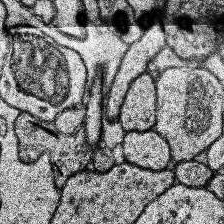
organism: Human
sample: Temporal Lobe